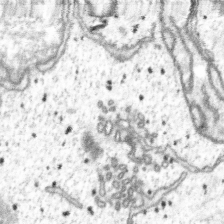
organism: Human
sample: HeLa cells